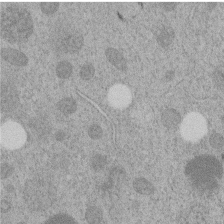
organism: C. elegans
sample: C. elegans embryo early stage